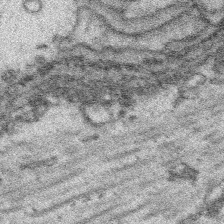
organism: Platynereis dumerilii